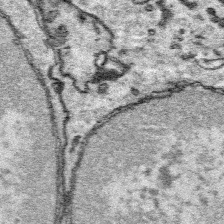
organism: Platynereis dumerilii